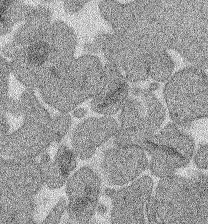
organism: Human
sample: HeLa cells